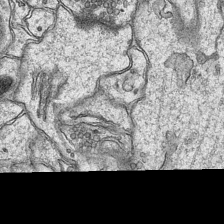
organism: Mouse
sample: CA1 Hippocampus